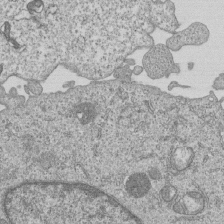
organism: Human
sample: MDA-MB-231 cells